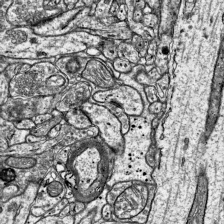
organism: Mouse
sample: Visual Cortex